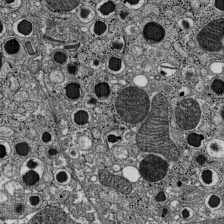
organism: C57BL Mouse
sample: Pancreatic islet